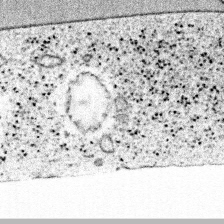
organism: Human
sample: HeLa cells